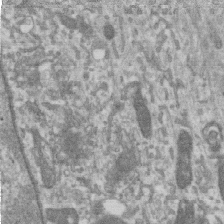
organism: Human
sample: Centriole in RPE cells